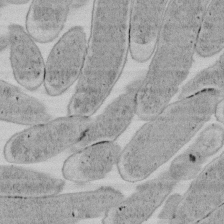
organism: E. coli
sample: Bacterial nucleoid